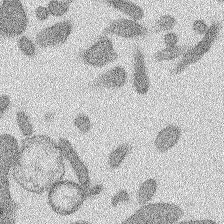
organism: Human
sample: HeLa cells